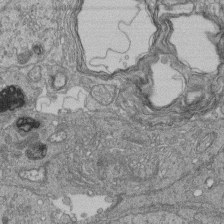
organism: Human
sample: Retinal organoid Rod and Cone cells